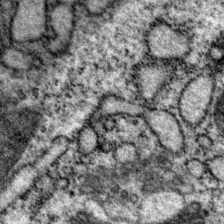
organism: P. pacificus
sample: Pharynx